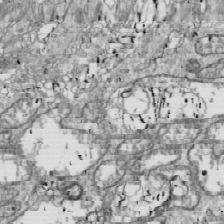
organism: Drosophila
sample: Cell division; meiosis; drosophila spermatocytes